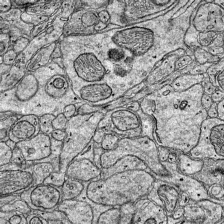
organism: Mouse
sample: Visual Cortex